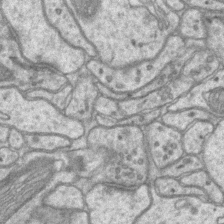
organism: Mouse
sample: CA1 Hippocampus